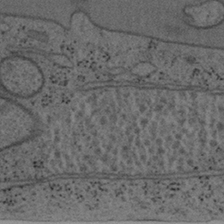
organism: Human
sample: HeLa cells